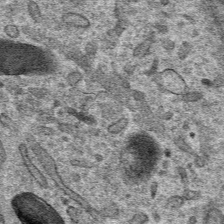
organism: Mouse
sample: Mouse hepatocytes